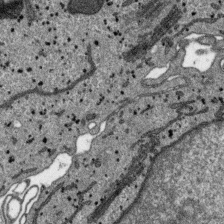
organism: Human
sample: Lung epithelial cells, uninfected (mock) control